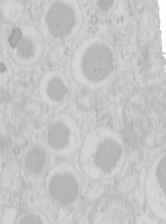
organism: Mouse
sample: Pancreas